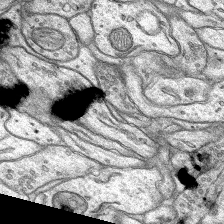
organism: Rat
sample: Hippocampus